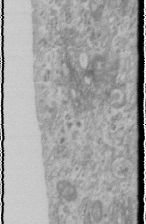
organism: Human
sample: Cilia; basal body in RPE cells